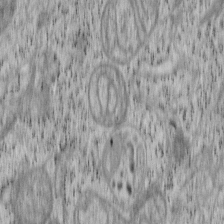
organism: Human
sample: HeLa cells